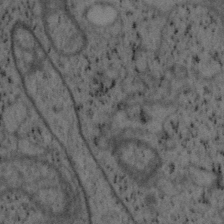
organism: Human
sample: HeLa cells